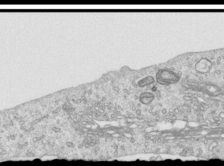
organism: Human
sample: Centriole in RPE cells